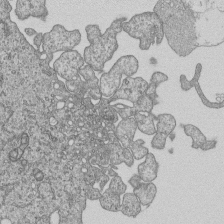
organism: Human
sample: MDA-MB-231 cells